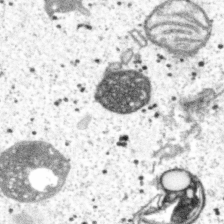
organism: Human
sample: HeLa cells